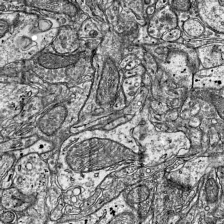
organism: Mouse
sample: Visual Cortex